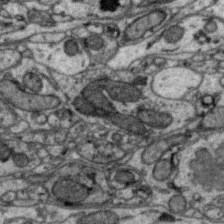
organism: Zebra finch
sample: Brain